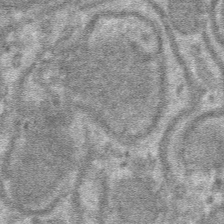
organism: Mouse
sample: Mouse hepatocytes